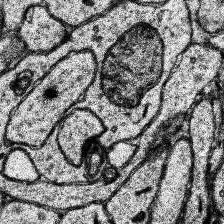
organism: Human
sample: Temporal Lobe